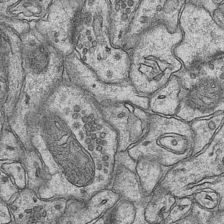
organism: Mouse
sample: CA1 Hippocampus